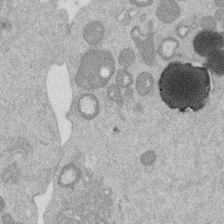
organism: Mouse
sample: Dividing mouse embryo 1 cell stage